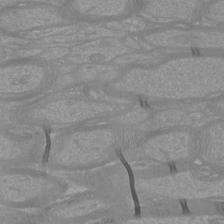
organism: Mouse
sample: Cortical neurons